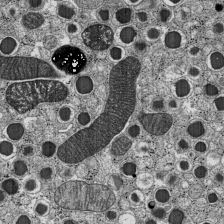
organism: C57BL Mouse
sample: Pancreatic islet